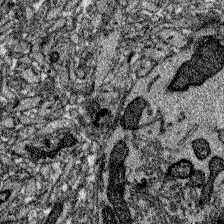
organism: Zebrafish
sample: Larval olfactory bulb